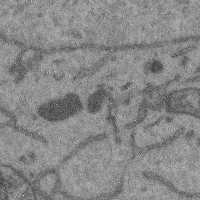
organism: Mouse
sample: Cerebral cortex